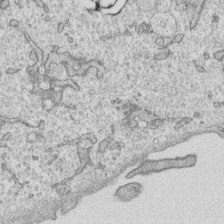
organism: Human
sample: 1205lu cells